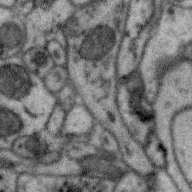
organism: Zebra finch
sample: Brain